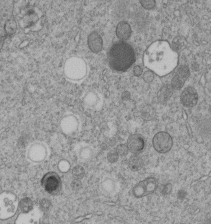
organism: C. elegans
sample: C. elegans embryo early stage